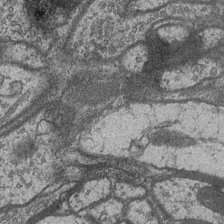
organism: Drosophila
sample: Optic medulla